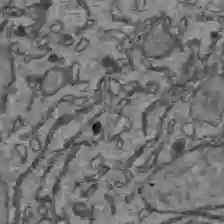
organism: C57BL Mouse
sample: Liver